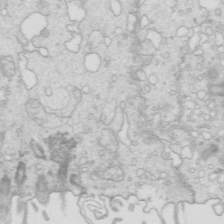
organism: Mouse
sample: Multiciliated cells